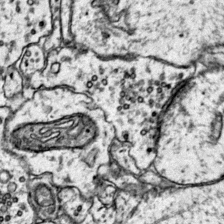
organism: Mouse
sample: Primary visual cortex